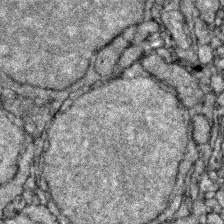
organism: Zebrafish